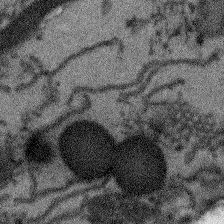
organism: Arabidopsis thaliana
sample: Root tip